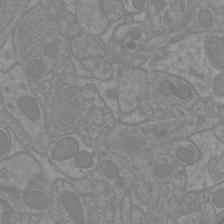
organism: Mouse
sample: Cortical neurons